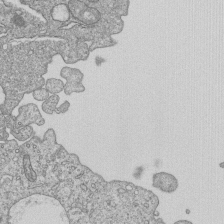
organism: Human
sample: MDA-MB-231 cells